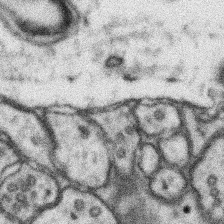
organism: Mouse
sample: Somatosensory cortex neuropil